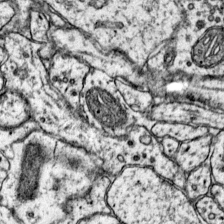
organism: Mouse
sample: Primary visual cortex